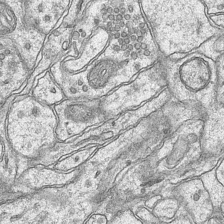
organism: Mouse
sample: CA1 Hippocampus